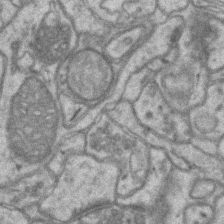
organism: Mouse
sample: CA1 Hippocampus